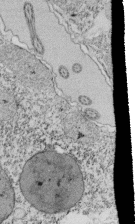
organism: Tetrahymena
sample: Cilia in tetrahymena